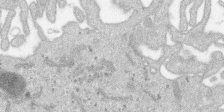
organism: Human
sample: Lung epithelial cells infected with SARS-CoV-2